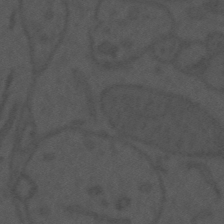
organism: Mouse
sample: Suprachiasmatic nucleus